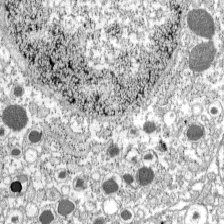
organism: C57BL Mouse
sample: Pancreatic islet